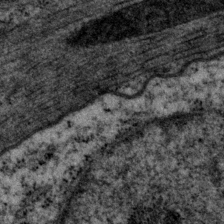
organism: P. pacificus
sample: Pharynx